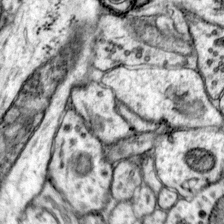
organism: Mouse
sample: Primary visual cortex